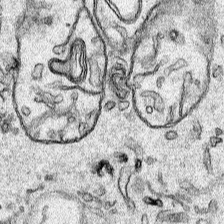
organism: Human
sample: Mitochondria in HCT116 cells